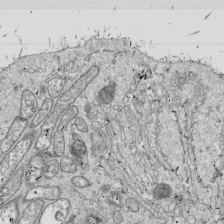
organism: Drosophila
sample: Cell division; meiosis; drosophila spermatocytes